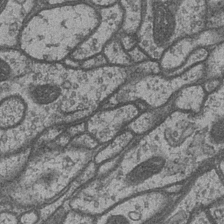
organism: Drosophila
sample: Optic medulla